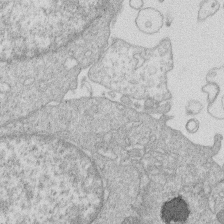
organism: Human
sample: Macrophage cells